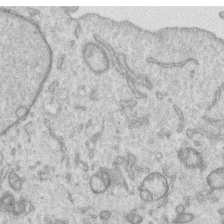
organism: Human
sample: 1205lu cells